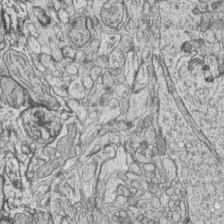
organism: Zebrafish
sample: synaptic ribbons in rod cells and cone cells